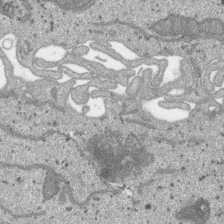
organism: Human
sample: Lung epithelial cells infected with SARS-CoV-2